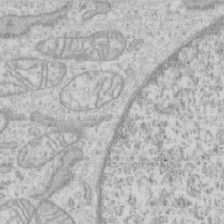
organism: Human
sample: CRL-1474